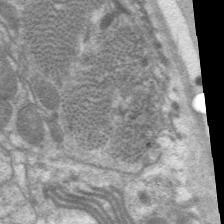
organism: C. elegans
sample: Pharynx